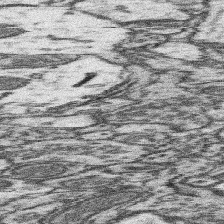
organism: Mouse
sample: Somatosensory cortex neuropil